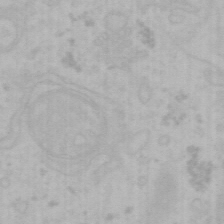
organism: Mouse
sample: Choroid plexus